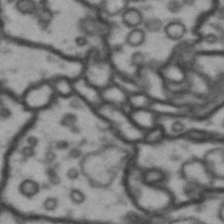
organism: Drosophila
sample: Brain